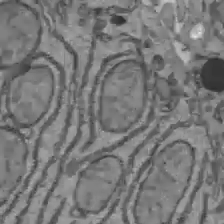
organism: C57BL Mouse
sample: Liver